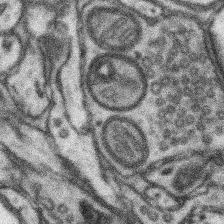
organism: Mouse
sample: Somatosensory cortex neuropil